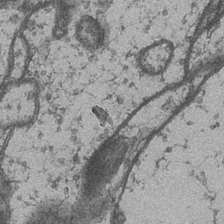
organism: Drosophila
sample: Optic medulla